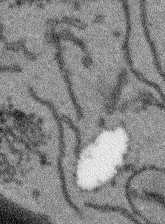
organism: Arabidopsis thaliana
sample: Root tip